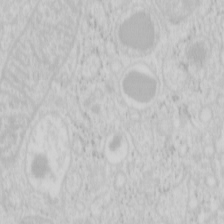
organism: Mouse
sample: Pancreas